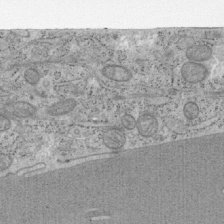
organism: Human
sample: HeLa cells